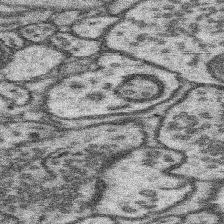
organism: Mouse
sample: Somatosensory cortex neuropil